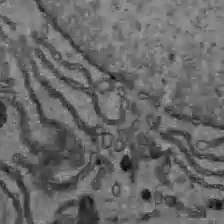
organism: C57BL Mouse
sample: Liver